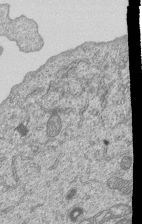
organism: Human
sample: MDA-MB-231 cells